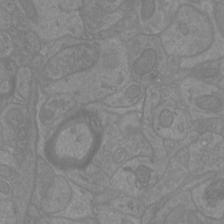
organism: Mouse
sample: Cortical neurons